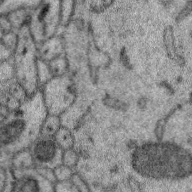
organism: Zebra finch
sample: Brain